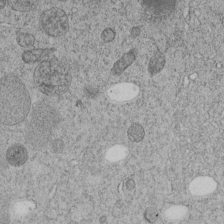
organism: C. elegans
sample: C. elegans embryo early stage